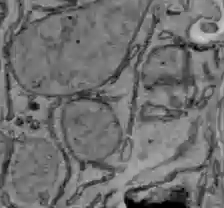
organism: C57BL Mouse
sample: Liver